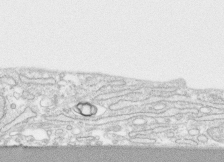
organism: Human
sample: CRL-1474